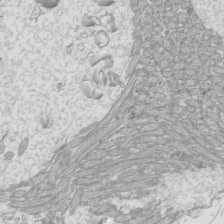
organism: Mouse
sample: Cilia; mouse epididymis